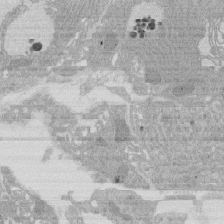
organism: Rat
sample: Salivary granule